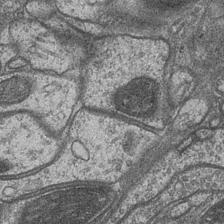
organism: Drosophila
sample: Optic medulla